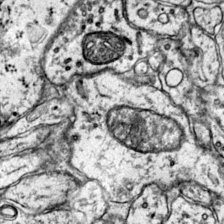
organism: Mouse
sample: Primary visual cortex